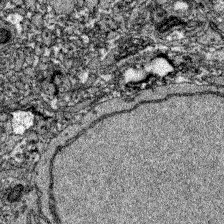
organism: Zebrafish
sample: Larval olfactory bulb